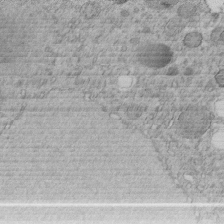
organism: C. elegans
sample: C. elegans embryo early stage